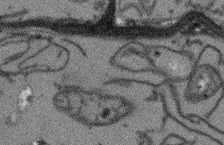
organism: Arabidopsis thaliana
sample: Root tip